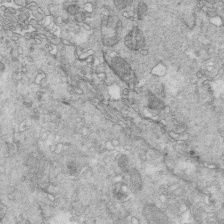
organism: Mouse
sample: Multiciliated cells